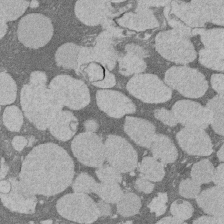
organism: Rat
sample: Salivary granule